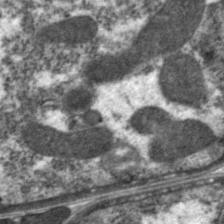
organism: C. elegans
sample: Pharynx